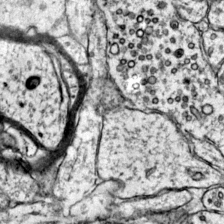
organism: Mouse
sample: Primary visual cortex